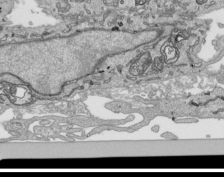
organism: Human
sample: Mitochondria in HCT116 cells